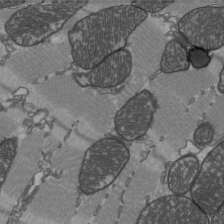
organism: C57BL Mouse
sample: Heart